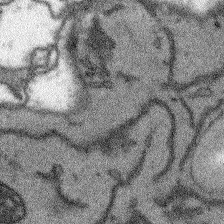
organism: Arabidopsis thaliana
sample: Root tip